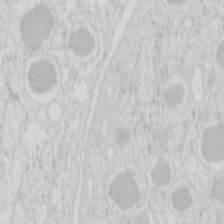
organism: Mouse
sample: Pancreas